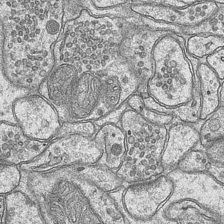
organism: Mouse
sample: CA1 Hippocampus